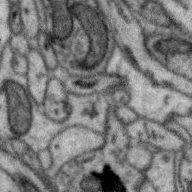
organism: Zebra finch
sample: Brain